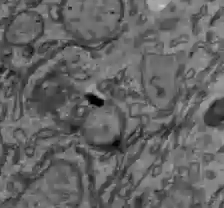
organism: C57BL Mouse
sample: Liver